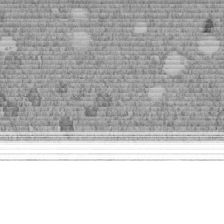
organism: C. elegans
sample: C. elegans embryo early stage